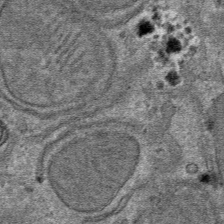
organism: Mouse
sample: Mouse hepatocytes